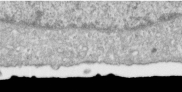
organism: Human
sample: Centriole in RPE cells